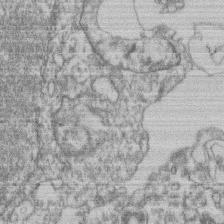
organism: Mouse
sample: T cell stromal cell synapse